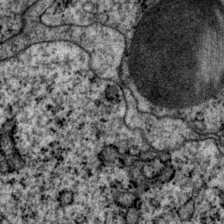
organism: P. pacificus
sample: Pharynx